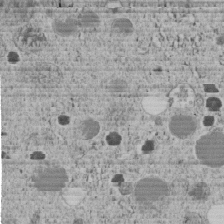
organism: C. elegans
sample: C. elegans embryo early stage